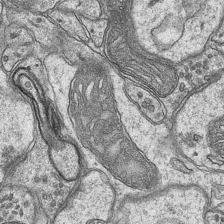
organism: Mouse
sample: CA1 Hippocampus